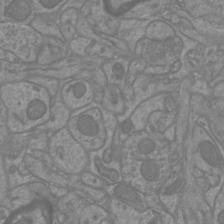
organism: Mouse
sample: Cortical neurons